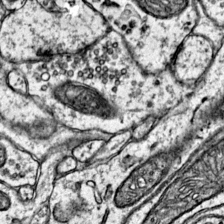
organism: Mouse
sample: Primary visual cortex